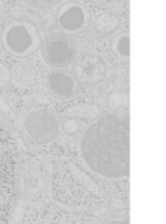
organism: Mouse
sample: Pancreas